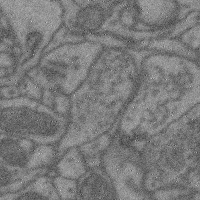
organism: Mouse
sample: Cerebral cortex